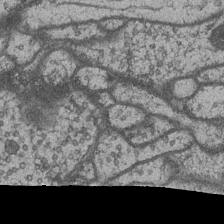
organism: Drosophila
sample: Optic medulla